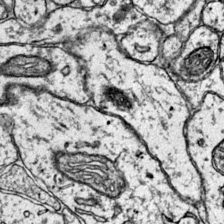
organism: Mouse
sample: Primary visual cortex